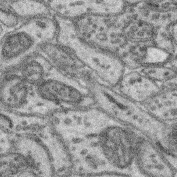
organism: Mouse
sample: Retina